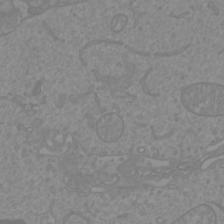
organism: Mouse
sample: Cortical neurons